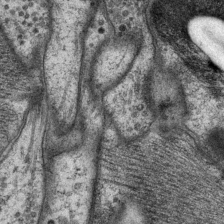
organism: P. pacificus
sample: Pharynx